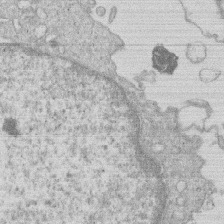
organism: Human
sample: Macrophage cells